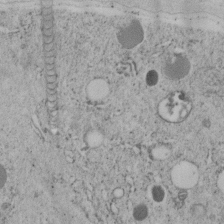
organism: C. elegans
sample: C. elegans embryo early stage